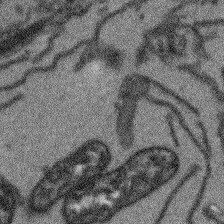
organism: Arabidopsis thaliana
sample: Root tip